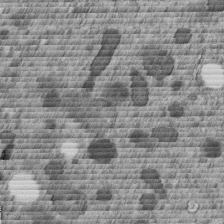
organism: C. elegans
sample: C. elegans embryo early stage